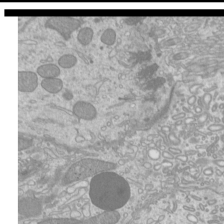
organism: Mouse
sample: Cilia; mouse epididymis